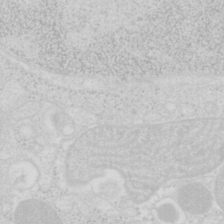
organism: Mouse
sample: Pancreas